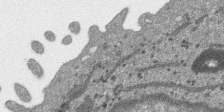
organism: Human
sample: Lung epithelial cells infected with SARS-CoV-2